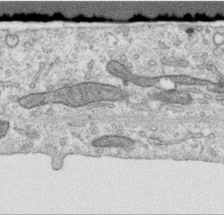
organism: Human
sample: Centriole in RPE cells